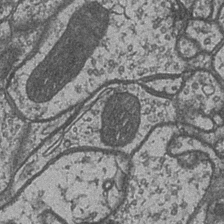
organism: Drosophila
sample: Optic medulla